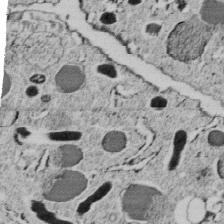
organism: C. elegans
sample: C. elegans embryo early stage